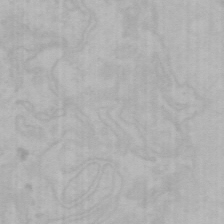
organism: Mouse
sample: Choroid plexus